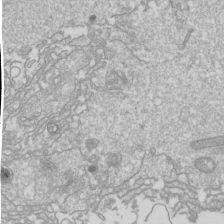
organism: Drosophila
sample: Cell division; meiosis; drosophila spermatocytes